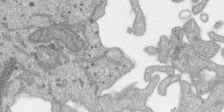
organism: Human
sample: Lung epithelial cells infected with SARS-CoV-2